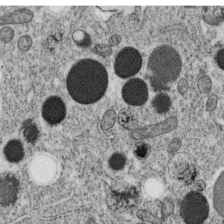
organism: C. elegans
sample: C. elegans oocyte; sperm cells